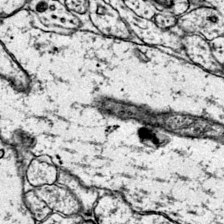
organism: Mouse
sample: Primary visual cortex